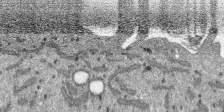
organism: Human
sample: Lung epithelial cells infected with SARS-CoV-2